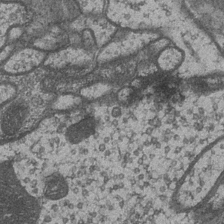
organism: Drosophila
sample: Optic medulla